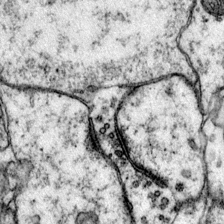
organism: Mouse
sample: Primary visual cortex